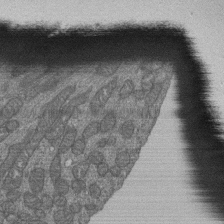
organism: Human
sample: Retinal organoid Rod and Cone cells